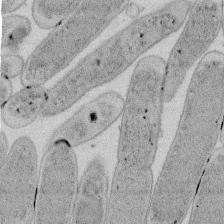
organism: E. coli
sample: Bacterial nucleoid